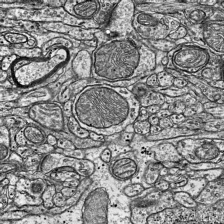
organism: Mouse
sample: Visual Cortex